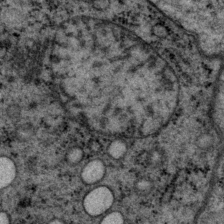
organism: P. pacificus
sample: Pharynx